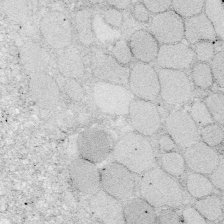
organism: Zebrafish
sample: Whole-Brain